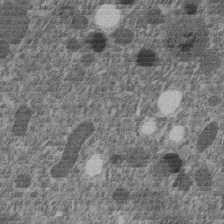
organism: C. elegans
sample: C. elegans embryo early stage